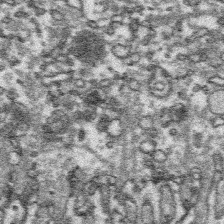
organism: Platynereis dumerilii